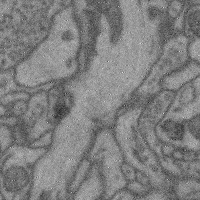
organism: Mouse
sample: Cerebral cortex